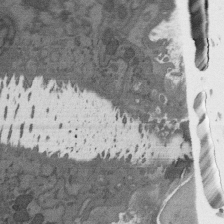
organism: C. elegans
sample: AFD neurons C. elegans